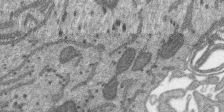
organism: Human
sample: Lung epithelial cells infected with SARS-CoV-2